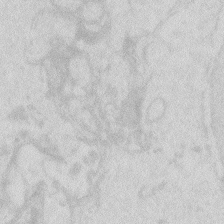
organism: Zebrafish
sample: Macrophage